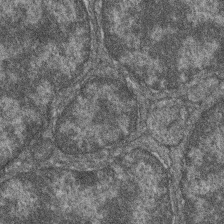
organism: Zebrafish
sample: Cilia; retinal pigment epithelium